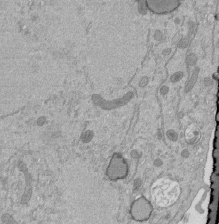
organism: Mouse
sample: ED-1 cell nuclei; centrioles